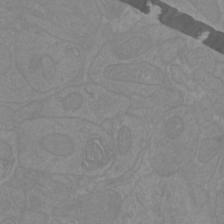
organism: Mouse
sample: Cortical neurons